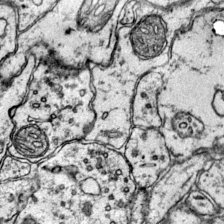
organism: Mouse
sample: Primary visual cortex